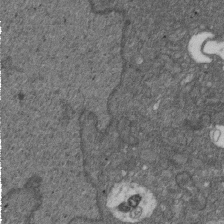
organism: Drosophila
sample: Nephrocyte